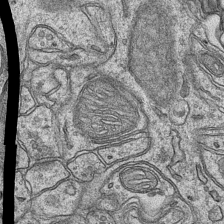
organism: Mouse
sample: CA1 Hippocampus